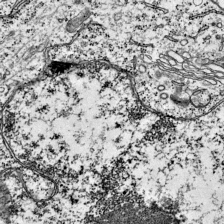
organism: Mouse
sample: Visual Cortex